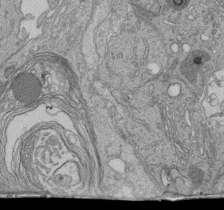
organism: Human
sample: Retinal organoid Rod and Cone cells